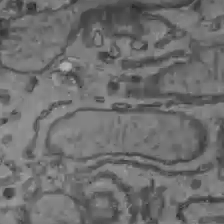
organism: C57BL Mouse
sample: Liver